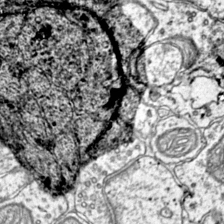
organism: Mouse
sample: Primary visual cortex